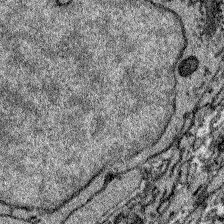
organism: Zebrafish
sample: Larval olfactory bulb